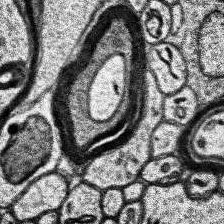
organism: Human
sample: Temporal Lobe